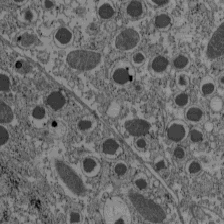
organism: C57BL Mouse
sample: Pancreatic islet